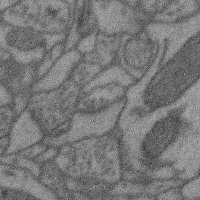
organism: Mouse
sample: Cerebral cortex